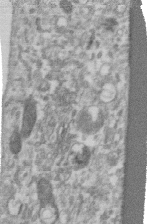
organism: Human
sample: Centriole in RPE cells